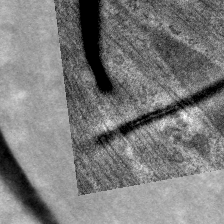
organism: C. elegans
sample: Pharynx